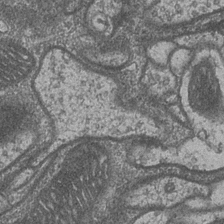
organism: Drosophila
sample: Optic medulla